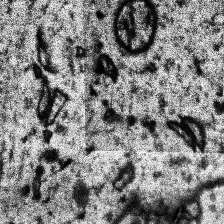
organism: Human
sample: Temporal Lobe